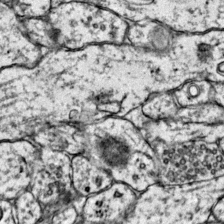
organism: Mouse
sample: Primary visual cortex